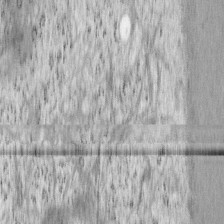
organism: Human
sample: HeLa cells